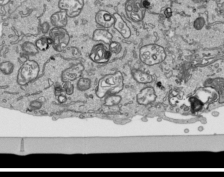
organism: Human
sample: Mitochondria in HCT116 cells